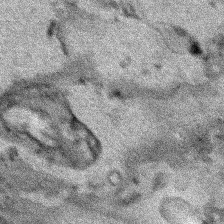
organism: Human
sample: Mitochondria in HCT116 cells